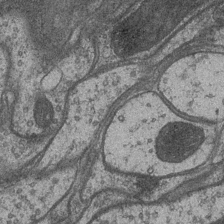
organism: Drosophila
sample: Optic medulla